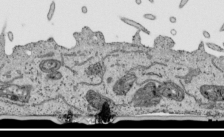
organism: Human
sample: Mitochondria in HCT116 cells